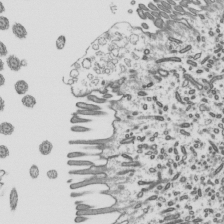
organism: Mouse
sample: Mouse epididymis efferent ductule cilia